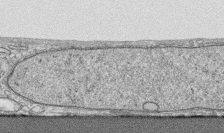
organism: Human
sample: CRL-1474